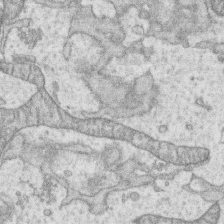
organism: Human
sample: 1205lu cells